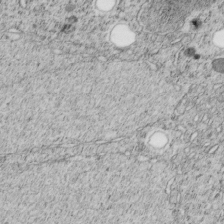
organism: C. elegans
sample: C. elegans embryo early stage